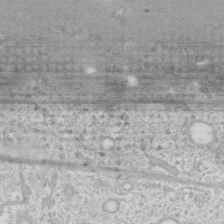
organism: Human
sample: Fibroblast cells